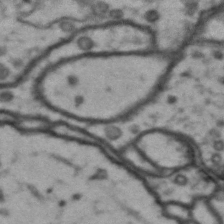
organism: Drosophila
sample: Brain